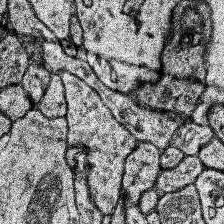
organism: Human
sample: Temporal Lobe